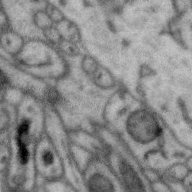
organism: Zebra finch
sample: Brain